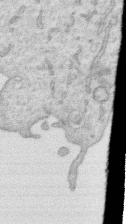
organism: Human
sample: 1205lu cells